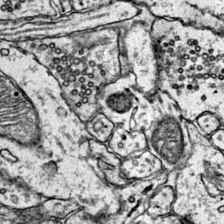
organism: Mouse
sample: Primary visual cortex